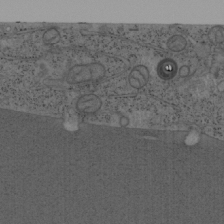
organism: Human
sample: HeLa cells